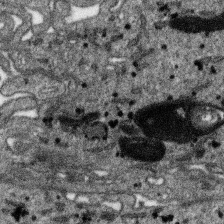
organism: Human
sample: Lung epithelial cells infected with SARS-CoV-2